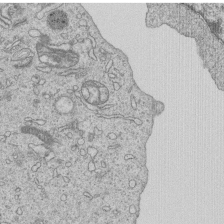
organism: Human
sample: MDA-MB-231 cells